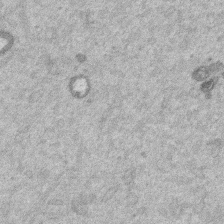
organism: Mouse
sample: Dividing mouse embryo 1 cell stage